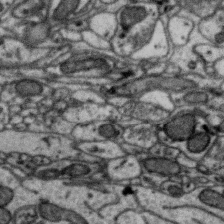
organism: Zebra finch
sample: Brain